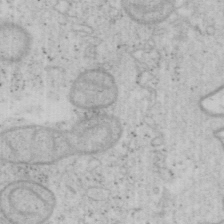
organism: Human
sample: HeLa cells